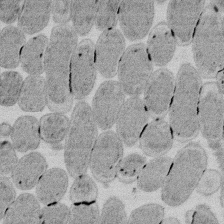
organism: E. coli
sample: Bacterial nucleoid